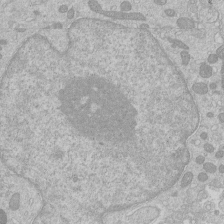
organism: Human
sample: Macrophage cells